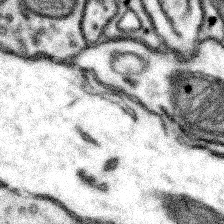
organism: Mouse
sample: Somatosensory cortex neuropil